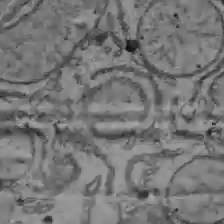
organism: C57BL Mouse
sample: Liver